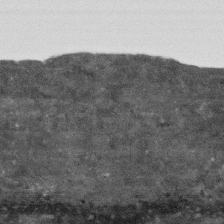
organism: Human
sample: Fibroblast cells